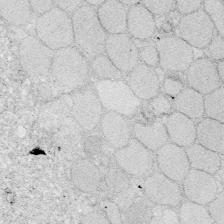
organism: Zebrafish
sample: Whole-Brain